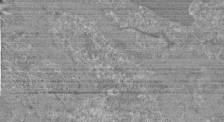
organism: Mouse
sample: Glomerulus